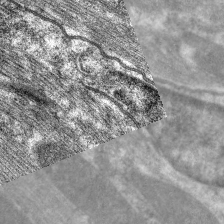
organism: C. elegans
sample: Pharynx